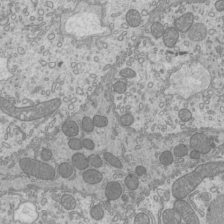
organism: Mouse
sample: Cilia; mouse epididymis